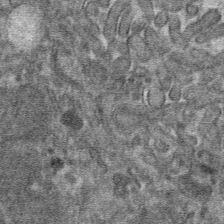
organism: Mouse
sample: Mouse hepatocytes